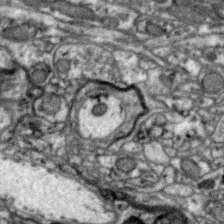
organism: Zebra finch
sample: Brain